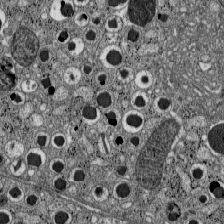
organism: C57BL Mouse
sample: Pancreatic islet